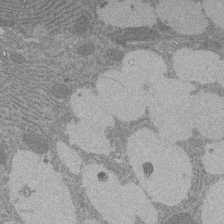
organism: Rat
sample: Salivary granule